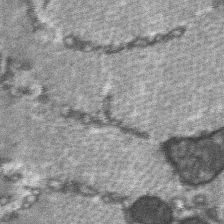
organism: C57BL Mouse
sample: Soleus